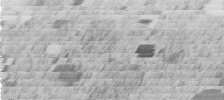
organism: C. elegans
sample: C. elegans embryo early stage